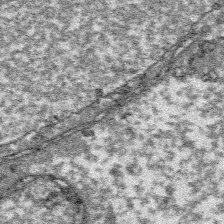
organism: Platynereis dumerilii